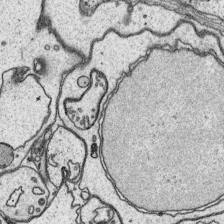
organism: Platynereis dumerilii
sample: Parapodia